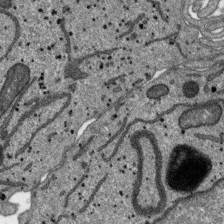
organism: Human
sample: Lung epithelial cells, uninfected (mock) control